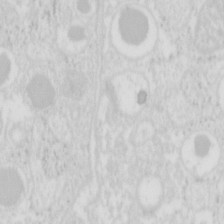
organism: Mouse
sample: Pancreas